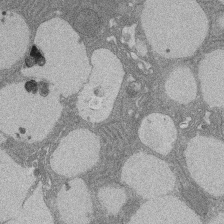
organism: Rat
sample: Salivary granule